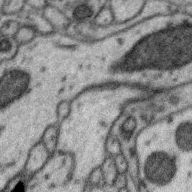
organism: Zebra finch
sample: Brain